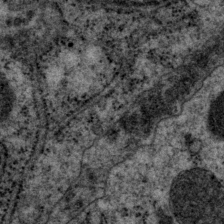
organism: P. pacificus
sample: Pharynx